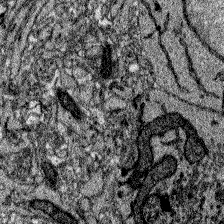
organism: Zebrafish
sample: Larval olfactory bulb